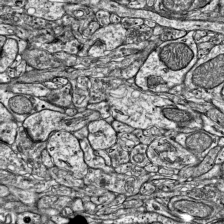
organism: Mouse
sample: Visual Cortex